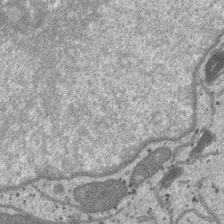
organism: Human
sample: Lung epithelial cells infected with SARS-CoV-2